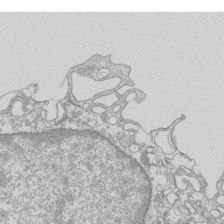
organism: Mouse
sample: Macrophages